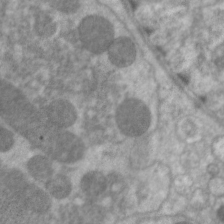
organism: C. elegans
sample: Pharynx